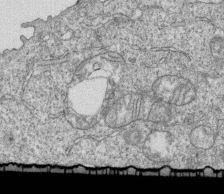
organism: Human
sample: HeLa cell HIV synapse